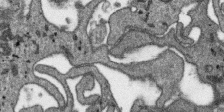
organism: Human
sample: Lung epithelial cells, uninfected (mock) control